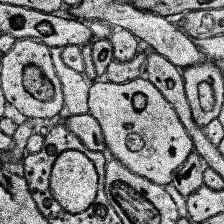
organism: Human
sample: Temporal Lobe